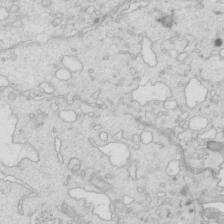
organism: Mouse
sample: Multiciliated cells